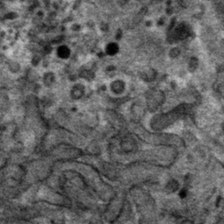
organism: Mouse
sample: Mouse hepatocytes